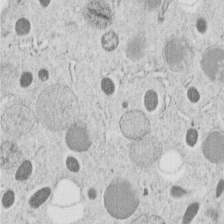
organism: C. elegans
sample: C. elegans embryo early stage